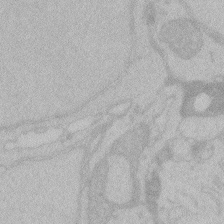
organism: Zebrafish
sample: Macrophage infected with Toxoplasma gondii